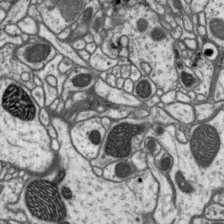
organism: Drosophila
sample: Protocerebral bridge